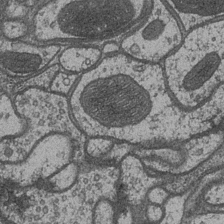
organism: Drosophila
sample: Optic medulla